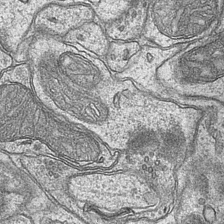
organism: Mouse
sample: CA1 Hippocampus